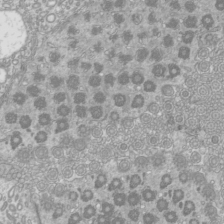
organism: Mouse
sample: Cilia; mouse epididymis